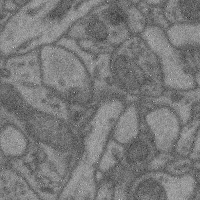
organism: Mouse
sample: Cerebral cortex